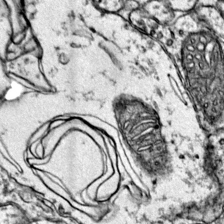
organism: Mouse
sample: Primary visual cortex